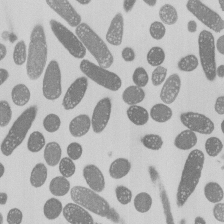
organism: E. coli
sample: Bacterial nucleoid